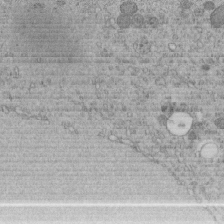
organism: C. elegans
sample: C. elegans embryo early stage